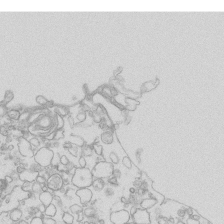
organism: Mouse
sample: Macrophages